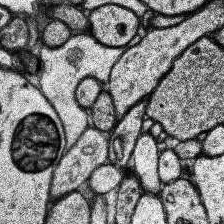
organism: Human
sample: Temporal Lobe